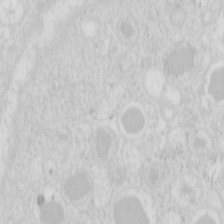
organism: Mouse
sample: Pancreas